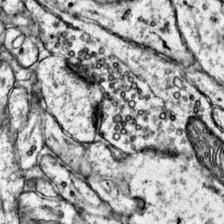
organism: Mouse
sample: Primary visual cortex